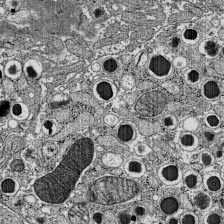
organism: C57BL Mouse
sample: Pancreatic islet